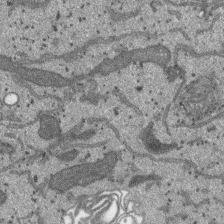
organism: Human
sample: Lung epithelial cells infected with SARS-CoV-2